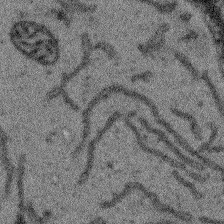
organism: Arabidopsis thaliana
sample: Root tip